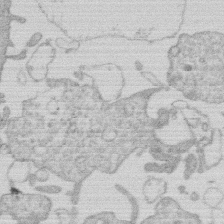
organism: Human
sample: Macrophage cells